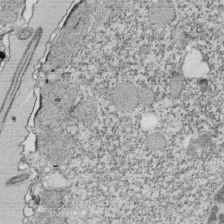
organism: Tetrahymena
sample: Cilia in tetrahymena